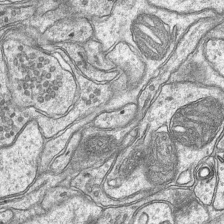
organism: Mouse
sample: CA1 Hippocampus